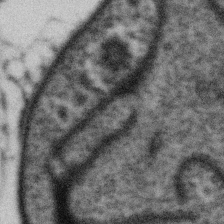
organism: Gemmata obscuriglobus